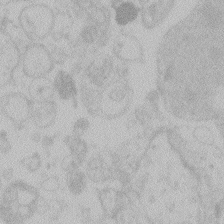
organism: Zebrafish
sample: Macrophage infected with Toxoplasma gondii